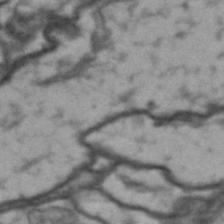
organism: Drosophila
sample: Brain